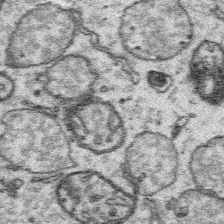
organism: Platynereis dumerilii